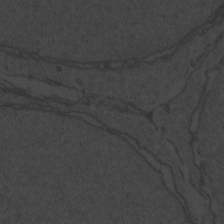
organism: Zebrafish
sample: Macrophage infected with Toxoplasma gondii